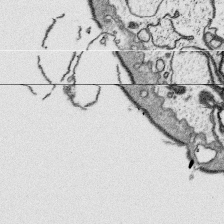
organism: Platynereis dumerilii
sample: Parapodia